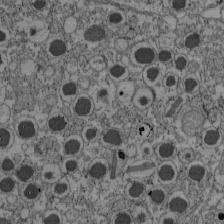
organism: C57BL Mouse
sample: Pancreatic islet